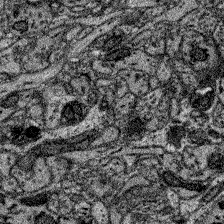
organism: Zebrafish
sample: Larval olfactory bulb